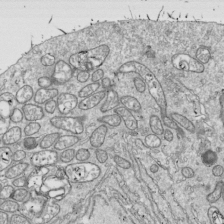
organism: Drosophila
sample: Cell division; meiosis; drosophila spermatocytes